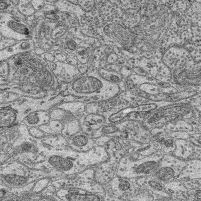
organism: Mouse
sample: Retina